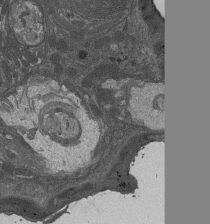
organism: Drosophila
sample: Antenna